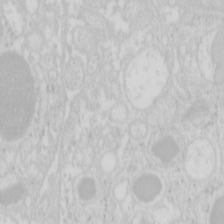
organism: Mouse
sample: Pancreas